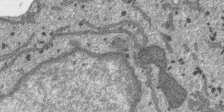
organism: Human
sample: Lung epithelial cells infected with SARS-CoV-2